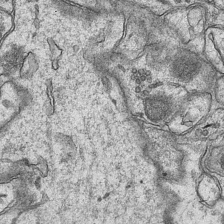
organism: Mouse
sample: CA1 Hippocampus